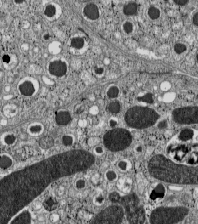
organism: C57BL Mouse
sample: Pancreatic islet